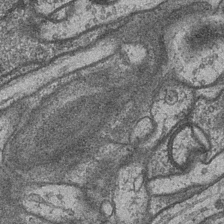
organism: Drosophila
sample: Optic medulla